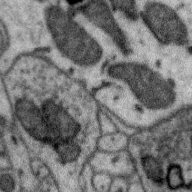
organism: Zebra finch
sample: Brain